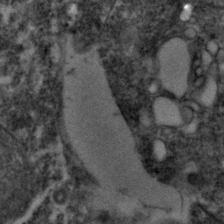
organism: Zebrafish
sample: Zebrafish embryo